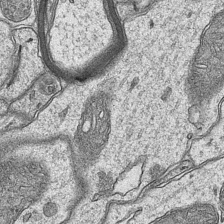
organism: Mouse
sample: CA1 Hippocampus